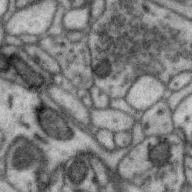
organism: Zebra finch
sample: Brain